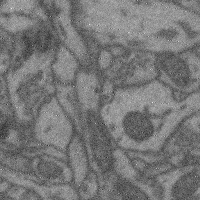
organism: Mouse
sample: Cerebral cortex